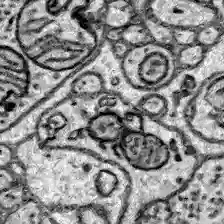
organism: Zebrafish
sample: Brain